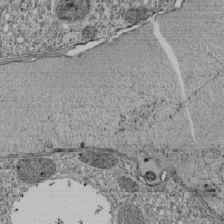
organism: Tetrahymena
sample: Cilia in tetrahymena